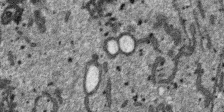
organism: Human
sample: Lung epithelial cells infected with SARS-CoV-2